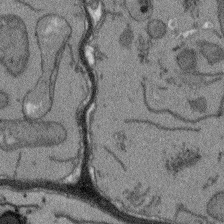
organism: Arabidopsis thaliana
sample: Root tip